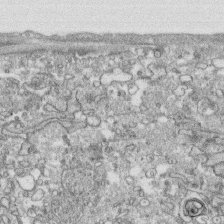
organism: Human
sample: CRL-1474